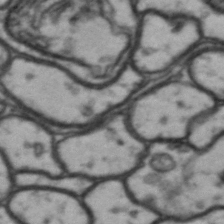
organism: Drosophila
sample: Brain